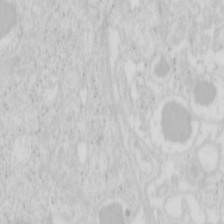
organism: Mouse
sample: Pancreas